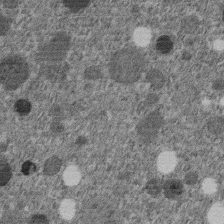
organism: C. elegans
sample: C. elegans embryo early stage